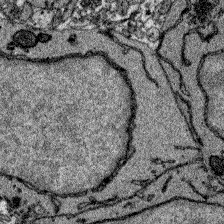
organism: Zebrafish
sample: Larval olfactory bulb